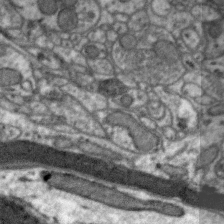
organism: Zebra finch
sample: Brain